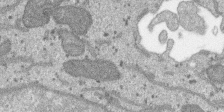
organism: Human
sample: Lung epithelial cells infected with SARS-CoV-2